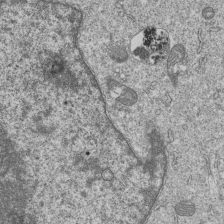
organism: Human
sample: MDA-MB-231 cells